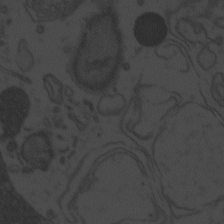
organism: Zebrafish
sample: Macrophage infected with Toxoplasma gondii